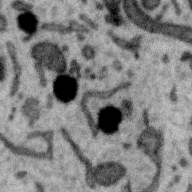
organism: Zebra finch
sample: Brain